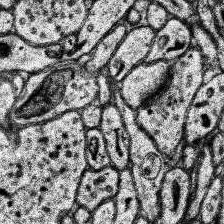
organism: Human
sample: Temporal Lobe